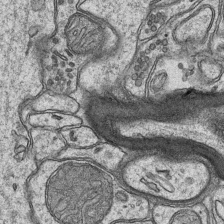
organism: Mouse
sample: CA1 Hippocampus